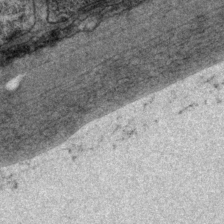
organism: P. pacificus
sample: Pharynx